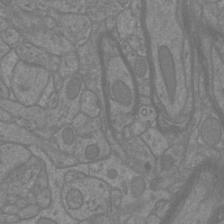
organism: Mouse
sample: Cortical neurons